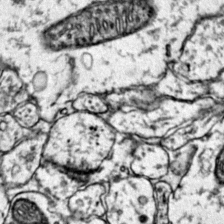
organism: Mouse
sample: Primary visual cortex